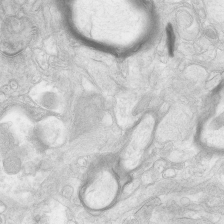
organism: Human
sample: Neocortex